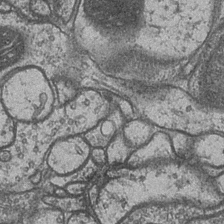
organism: Drosophila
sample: Optic medulla